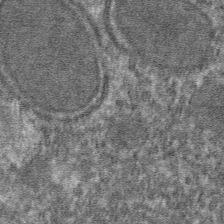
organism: Mouse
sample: Mouse hepatocytes